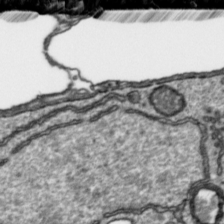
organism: Toxoplasma gondii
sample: Parasites in a vacuole inside a host cell